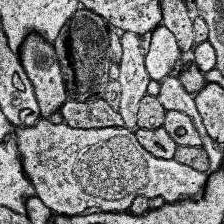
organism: Human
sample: Temporal Lobe